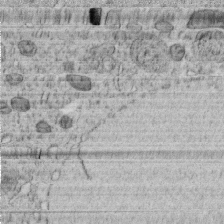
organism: C. elegans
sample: C. elegans embryo early stage